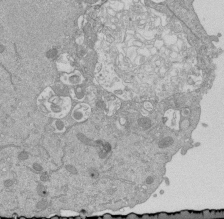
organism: Mouse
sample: ED-1 cell nuclei; centrioles